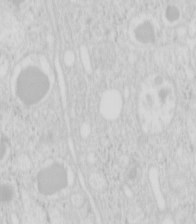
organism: Mouse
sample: Pancreas